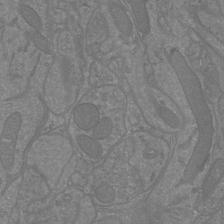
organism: Mouse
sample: Cortical neurons